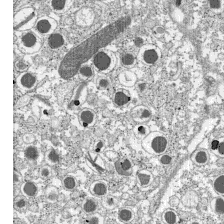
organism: C57BL Mouse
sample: Pancreatic islet